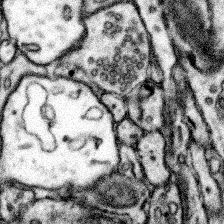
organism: Mouse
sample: Somatosensory cortex neuropil